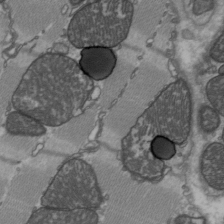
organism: C57BL Mouse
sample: Heart